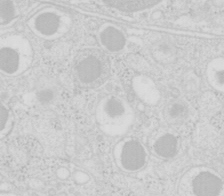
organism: Mouse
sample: Pancreas